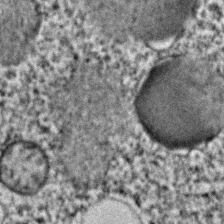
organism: C. elegans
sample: C. elegans embryo